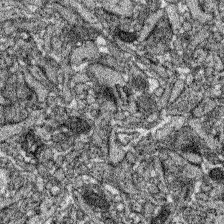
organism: Zebrafish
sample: Larval olfactory bulb